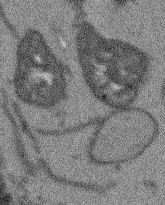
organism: Arabidopsis thaliana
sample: Root tip